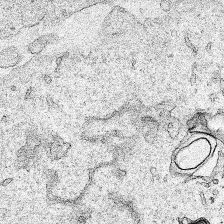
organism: Human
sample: Mitochondria in HCT116 cells